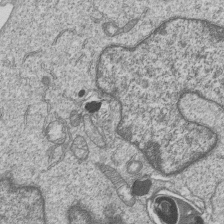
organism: Human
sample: MDA-MB-231 cells